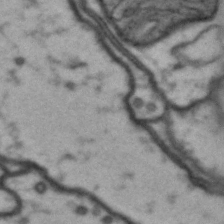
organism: Drosophila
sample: Brain